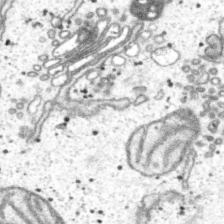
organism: Human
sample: HeLa cells